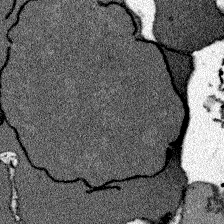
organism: Zebrafish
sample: Larval olfactory bulb